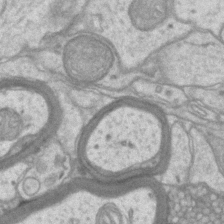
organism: Mouse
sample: CA1 Hippocampus